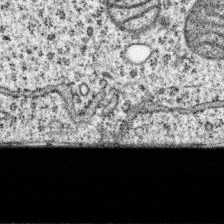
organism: Human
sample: HeLa cells